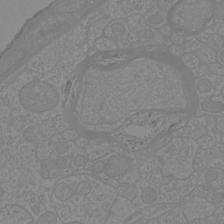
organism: Mouse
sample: Cortical neurons